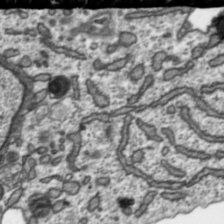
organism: Toxoplasma gondii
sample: Parasites in a vacuole inside a host cell